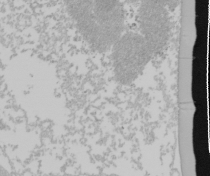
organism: Mouse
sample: Cancer cell death in ED-1 cells